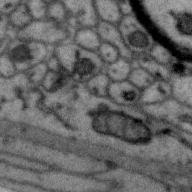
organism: Zebra finch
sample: Brain